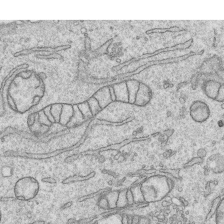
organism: Human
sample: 1205lu cells